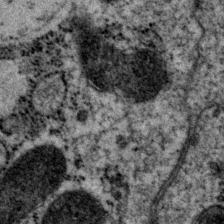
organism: P. pacificus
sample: Pharynx